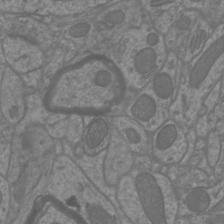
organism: Mouse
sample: Cortical neurons